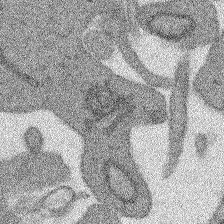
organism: Human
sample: HeLa cells